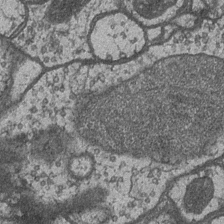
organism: Drosophila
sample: Optic medulla